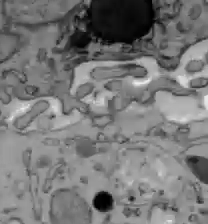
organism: C57BL Mouse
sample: Liver